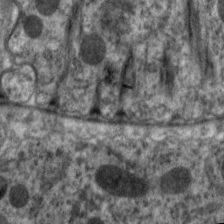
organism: C. elegans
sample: Pharynx